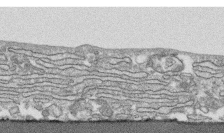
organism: Human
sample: CRL-1474